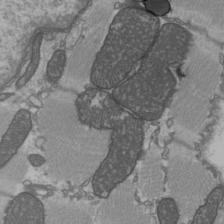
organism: C57BL Mouse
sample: Heart